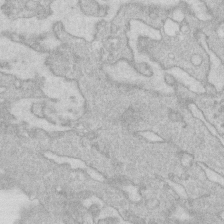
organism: Human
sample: Fibroblast cells